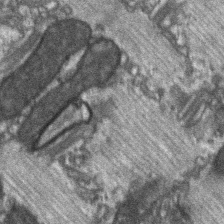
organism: C57BL Mouse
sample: Soleus